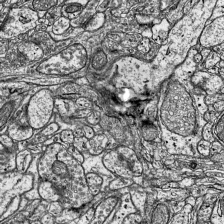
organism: Mouse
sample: Visual Cortex